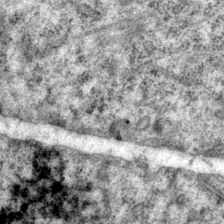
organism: P. pacificus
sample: Pharynx